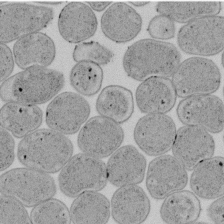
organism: E. coli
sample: Bacterial nucleoid